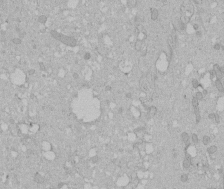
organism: Human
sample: Melanocyte Keratinocyte synapse skin construct